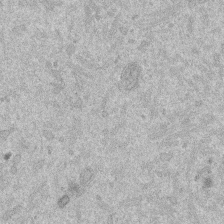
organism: Mouse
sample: Dividing mouse embryo 1 cell stage